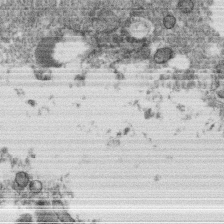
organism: C. elegans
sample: C. elegans oocyte; sperm cells